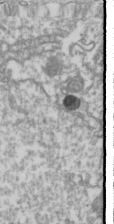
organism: Drosophila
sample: Cell division; meiosis; drosophila spermatocytes